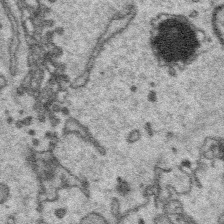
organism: Platynereis dumerilii